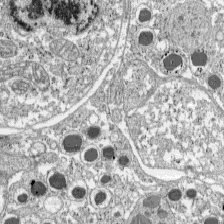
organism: C57BL Mouse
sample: Pancreatic islet